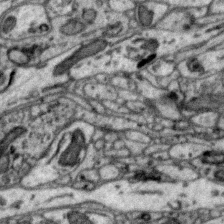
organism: Zebra finch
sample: Brain